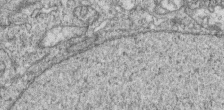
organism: Human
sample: HeLa cell HIV synapse